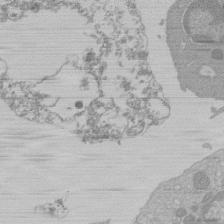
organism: Mouse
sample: Activated Pmel transgenic CD8+ T Cells